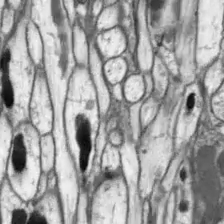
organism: Drosophila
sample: Optic lobe